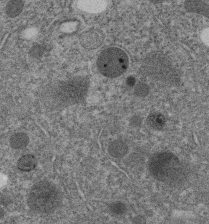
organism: C. elegans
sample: C. elegans embryo early stage